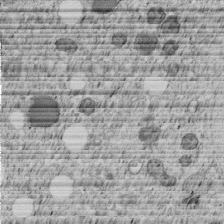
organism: C. elegans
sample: C. elegans embryo early stage